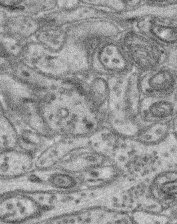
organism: Mouse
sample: Retina